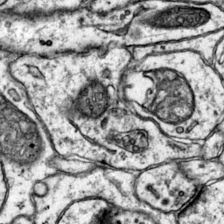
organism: Mouse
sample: Primary visual cortex